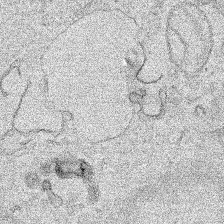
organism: Human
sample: Mitochondria in HCT116 cells